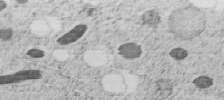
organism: C. elegans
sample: C. elegans embryo early stage